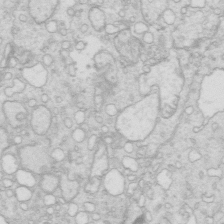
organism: Mouse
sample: Multiciliated cells